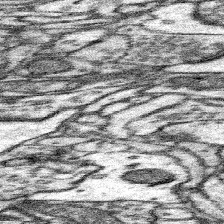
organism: Mouse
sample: Somatosensory cortex neuropil